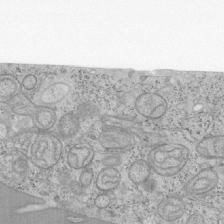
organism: Human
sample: HeLa cells